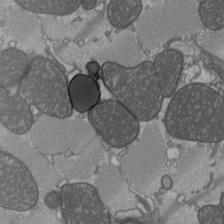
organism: C57BL Mouse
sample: Heart